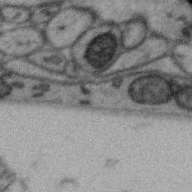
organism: Zebra finch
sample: Brain